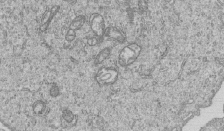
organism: Human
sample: MDA-MB-231 cells